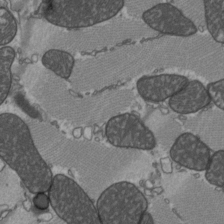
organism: C57BL Mouse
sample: Heart